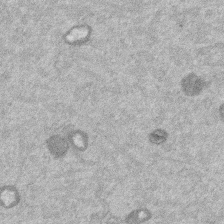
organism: Mouse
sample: Dividing mouse embryo 1 cell stage